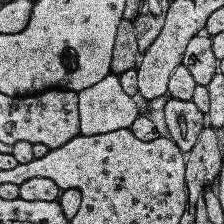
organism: Human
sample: Temporal Lobe